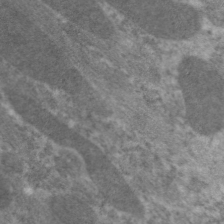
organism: C. elegans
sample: Pharynx